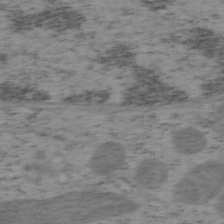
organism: Mouse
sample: OT-I killer T cells with ID8 ovarian cancer cells